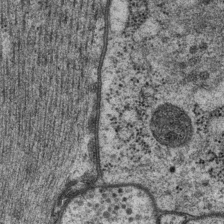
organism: P. pacificus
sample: Pharynx